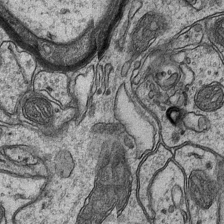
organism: Mouse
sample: CA1 Hippocampus